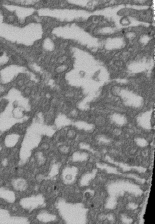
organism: Drosophila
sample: Nephrocyte